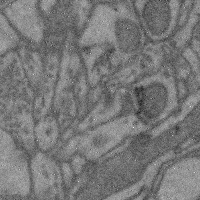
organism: Mouse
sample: Cerebral cortex